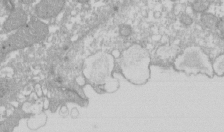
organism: Xenopus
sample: Cilia; centrioles in frog embryo cells